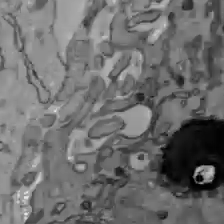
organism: C57BL Mouse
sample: Liver